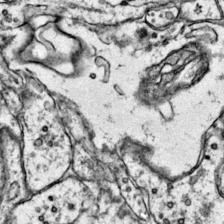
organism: Mouse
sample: Primary visual cortex